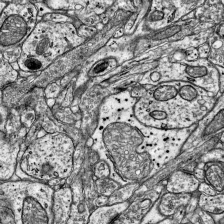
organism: Mouse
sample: Visual Cortex